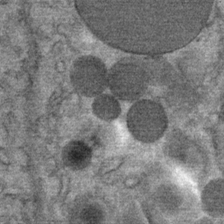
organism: Mouse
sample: Mouse Salivary gland